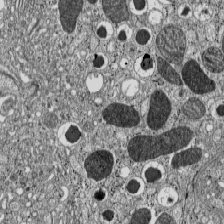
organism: C57BL Mouse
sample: Pancreatic islet